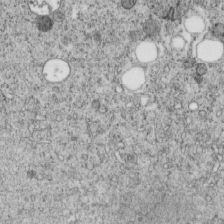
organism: C. elegans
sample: C. elegans embryo early stage